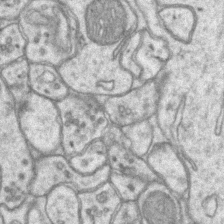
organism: Mouse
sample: CA1 Hippocampus